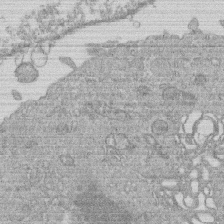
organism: Human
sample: Macrophage cells